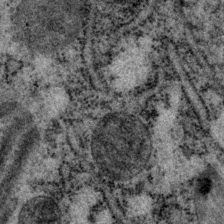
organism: P. pacificus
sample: Pharynx